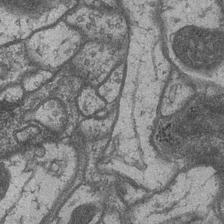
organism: Drosophila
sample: Optic medulla